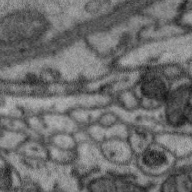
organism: Zebra finch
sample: Brain